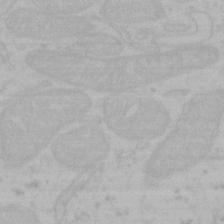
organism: Mouse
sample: Choroid plexus